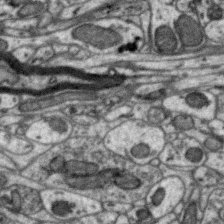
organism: Zebra finch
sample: Brain